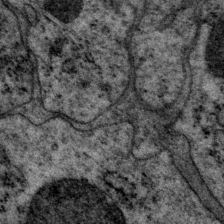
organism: P. pacificus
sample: Pharynx